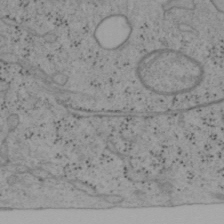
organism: Human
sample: HeLa cells